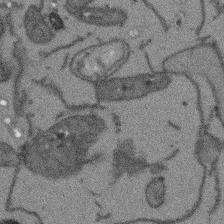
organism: Arabidopsis thaliana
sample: Root tip